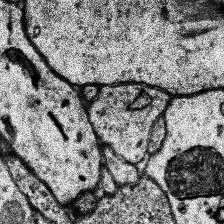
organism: Human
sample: Temporal Lobe